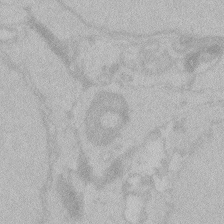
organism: Zebrafish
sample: Macrophage infected with Toxoplasma gondii